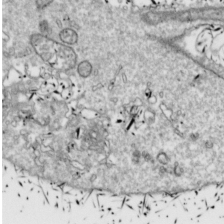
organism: Drosophila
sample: Cell division; meiosis; drosophila spermatocytes